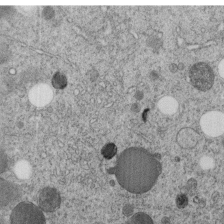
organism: C. elegans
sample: C. elegans embryo early stage